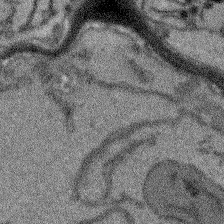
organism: Arabidopsis thaliana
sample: Root tip